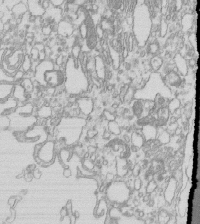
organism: Mouse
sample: Macrophages